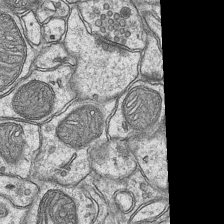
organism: Mouse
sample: CA1 Hippocampus